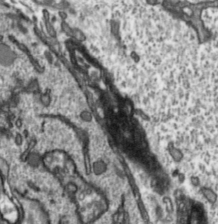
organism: Toxoplasma gondii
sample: Parasites in a vacuole inside a host cell